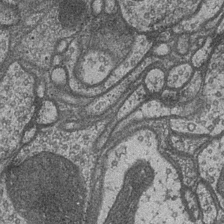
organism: Drosophila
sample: Optic medulla